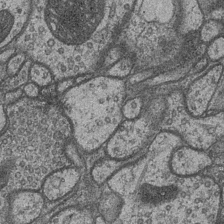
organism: Drosophila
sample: Optic medulla